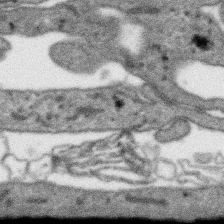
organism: Human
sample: Lung epithelial cells infected with SARS-CoV-2